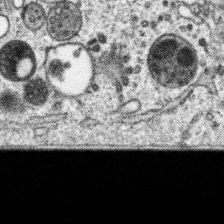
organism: Human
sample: HeLa cells